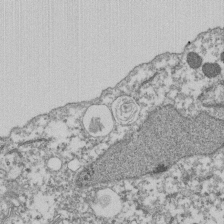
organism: Dictyostelium discoideum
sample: Dictyostelium multivesicular bodies